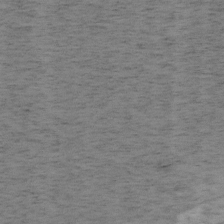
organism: Mouse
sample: OT-I killer T cells with ID8 ovarian cancer cells